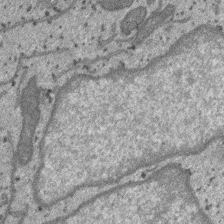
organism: Human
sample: Lung epithelial cells infected with SARS-CoV-2